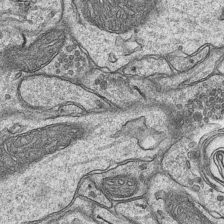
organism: Mouse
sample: CA1 Hippocampus